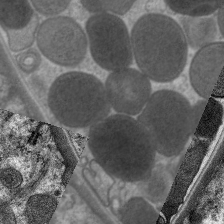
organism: C. elegans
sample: Pharynx